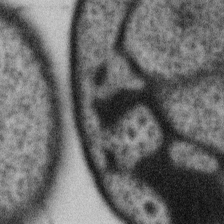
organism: Gemmata obscuriglobus